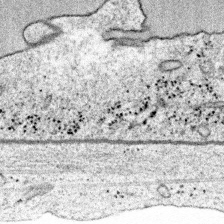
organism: Human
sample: HeLa cells